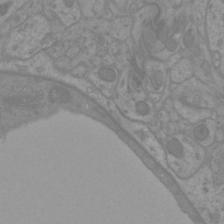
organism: Mouse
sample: Cortical neurons